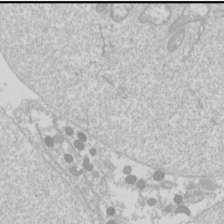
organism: Drosophila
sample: Cell division; meiosis; drosophila spermatocytes